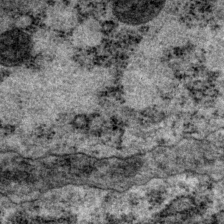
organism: P. pacificus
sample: Pharynx